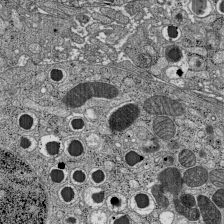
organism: C57BL Mouse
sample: Pancreatic islet